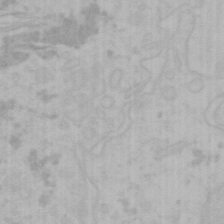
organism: Mouse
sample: Choroid plexus